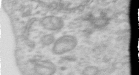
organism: Human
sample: Centriole in RPE cells